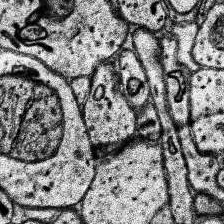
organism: Human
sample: Temporal Lobe